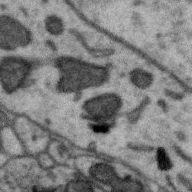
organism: Zebra finch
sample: Brain